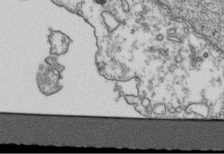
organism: Human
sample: Activated Jurkat CD4+ T cells